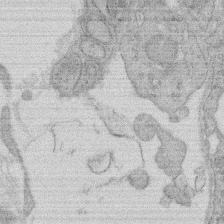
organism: Rat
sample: Salivary granule